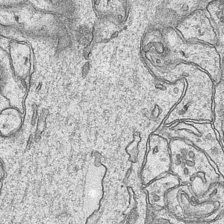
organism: Mouse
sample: CA1 Hippocampus